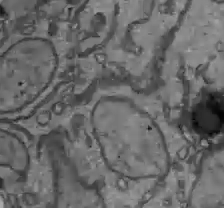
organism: C57BL Mouse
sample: Liver